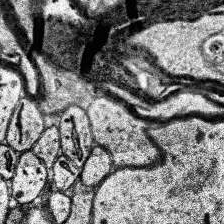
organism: Human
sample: Temporal Lobe